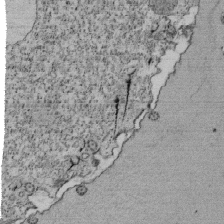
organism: Tetrahymena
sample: Cilia in tetrahymena